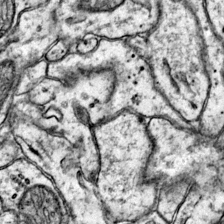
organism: Mouse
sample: Primary visual cortex